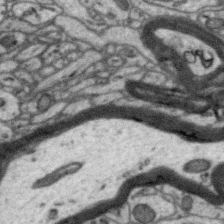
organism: Zebra finch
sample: Brain